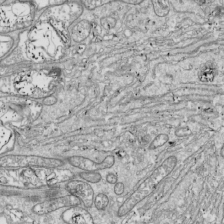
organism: Drosophila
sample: Cell division; meiosis; drosophila spermatocytes